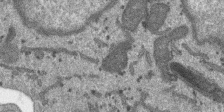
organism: Human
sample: Lung epithelial cells infected with SARS-CoV-2